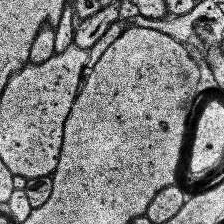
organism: Human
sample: Temporal Lobe